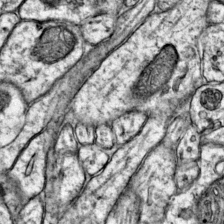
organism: Mouse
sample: Primary visual cortex